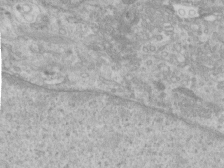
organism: Human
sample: Centriole in RPE cells